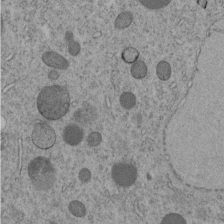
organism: C. elegans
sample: C. elegans embryo early stage